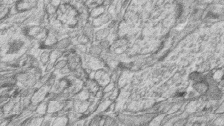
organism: Zebrafish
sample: synaptic ribbons in rod cells and cone cells